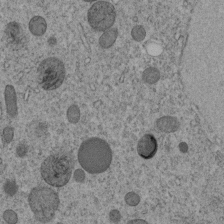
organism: C. elegans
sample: C. elegans embryo early stage